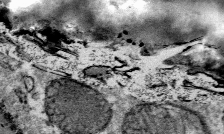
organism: Mouse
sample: Mouse Salivary gland